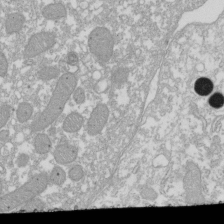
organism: Xenopus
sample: Cilia; centrioles in frog embryo cells